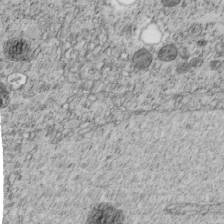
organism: C. elegans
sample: C. elegans embryo early stage